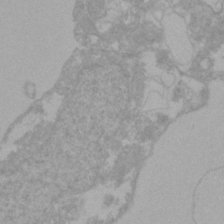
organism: Zebrafish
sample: Zebrafish embryo